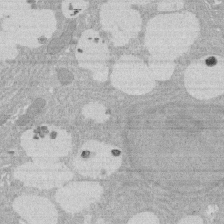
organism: Rat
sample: Salivary granule